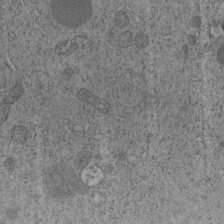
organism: C. elegans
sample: C. elegans embryo early stage